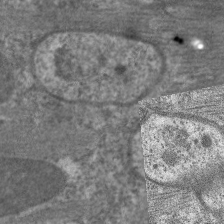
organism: C. elegans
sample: Pharynx